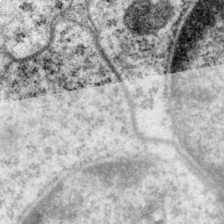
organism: P. pacificus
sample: Pharynx